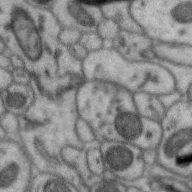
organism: Zebra finch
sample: Brain